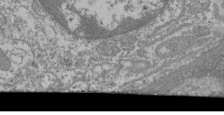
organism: Mouse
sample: Glomerulus